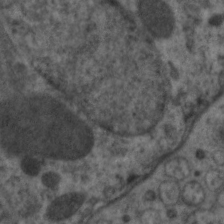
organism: C. elegans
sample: Pharynx